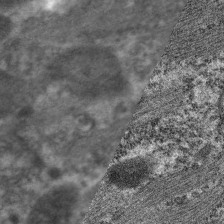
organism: C. elegans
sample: Pharynx